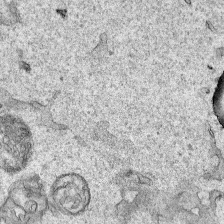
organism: Human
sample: Mitochondria in HCT116 cells